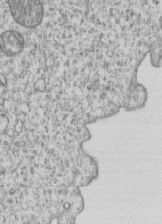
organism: Human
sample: MDA-MB-231 cells